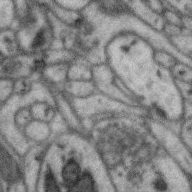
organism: Zebra finch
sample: Brain